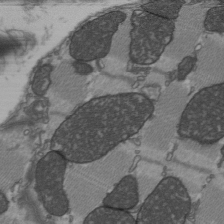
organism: C57BL Mouse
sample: Heart